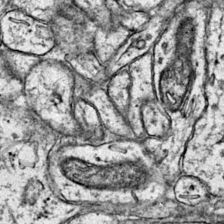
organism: Mouse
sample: Primary visual cortex